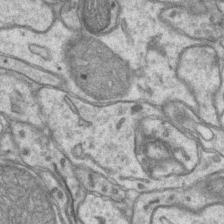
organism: Mouse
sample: CA1 Hippocampus